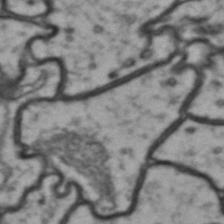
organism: Drosophila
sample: Brain